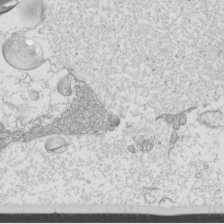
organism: Mouse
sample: Cilia; mouse epididymis